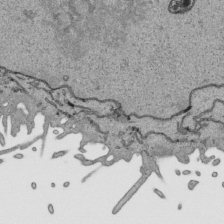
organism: Human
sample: Mitochondria in HCT116 cells